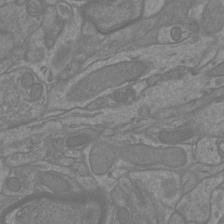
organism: Mouse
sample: Cortical neurons